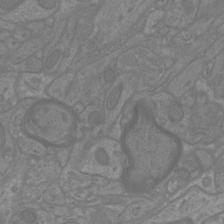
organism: Mouse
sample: Cortical neurons